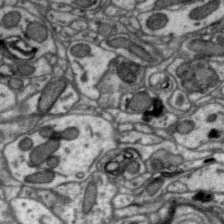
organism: Zebra finch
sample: Brain